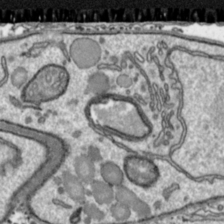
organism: Toxoplasma gondii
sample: Parasites in a vacuole inside a host cell